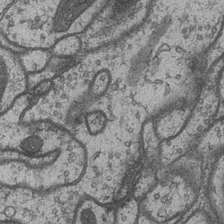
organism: Drosophila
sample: Optic medulla